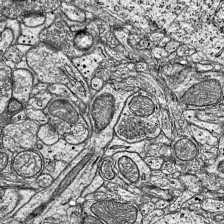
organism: Mouse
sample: Visual Cortex